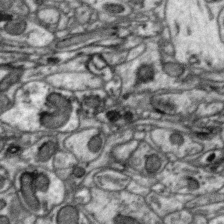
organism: Zebra finch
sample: Brain